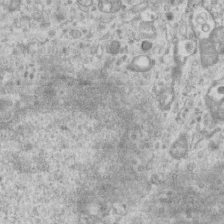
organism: Mouse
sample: Centriole in ependymal cells